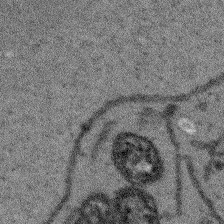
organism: Arabidopsis thaliana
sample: Root tip